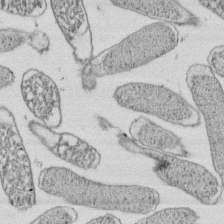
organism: E. coli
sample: Bacterial nucleoid